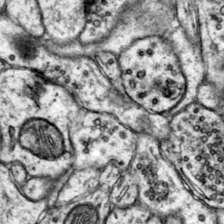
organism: Mouse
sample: Primary visual cortex